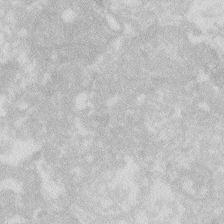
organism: Zebrafish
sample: Macrophage